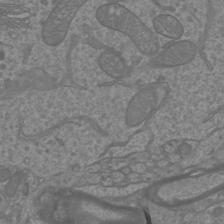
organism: Mouse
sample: Cortical neurons